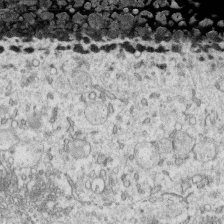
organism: Human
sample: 1205lu cells